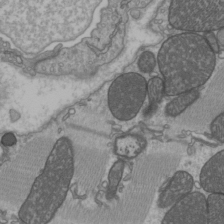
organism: C57BL Mouse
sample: Heart